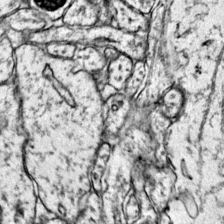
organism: Mouse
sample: Primary visual cortex